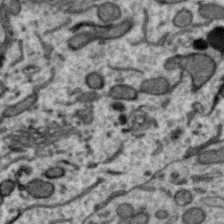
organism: Zebra finch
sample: Brain